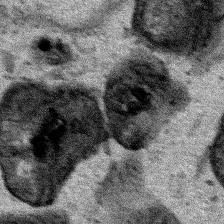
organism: Human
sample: Mitochondria in HCT116 cells